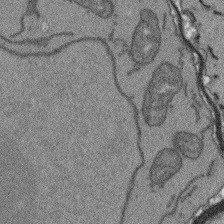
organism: Arabidopsis thaliana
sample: Root tip